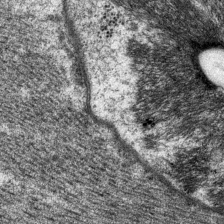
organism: P. pacificus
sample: Pharynx